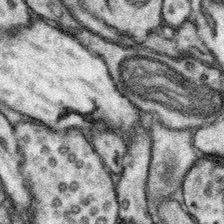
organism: Mouse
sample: Somatosensory cortex neuropil